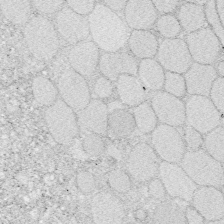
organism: Zebrafish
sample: Whole-Brain